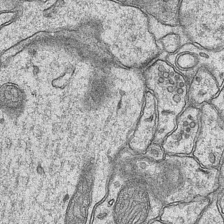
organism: Mouse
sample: CA1 Hippocampus